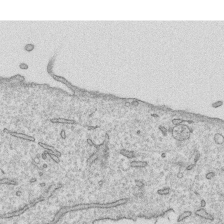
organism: Human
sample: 1205lu cells